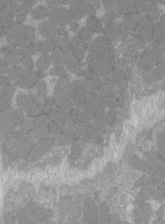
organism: C57BL Mouse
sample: Tibialis anterior muscle cell